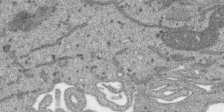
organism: Human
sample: Lung epithelial cells infected with SARS-CoV-2